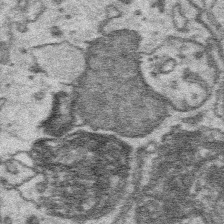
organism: Platynereis dumerilii